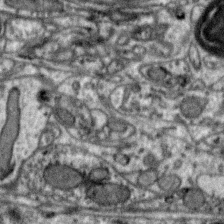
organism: Zebra finch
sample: Brain